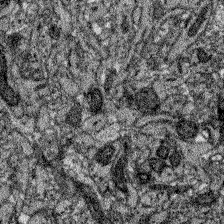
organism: Zebrafish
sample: Larval olfactory bulb